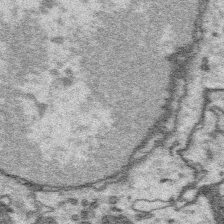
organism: Platynereis dumerilii